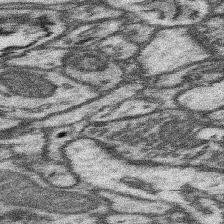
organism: Mouse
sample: Somatosensory cortex neuropil